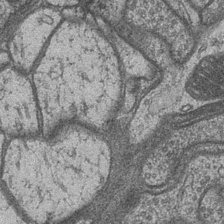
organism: Drosophila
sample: Optic medulla